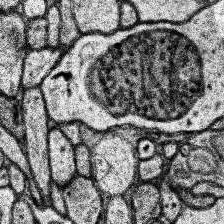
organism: Human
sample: Temporal Lobe